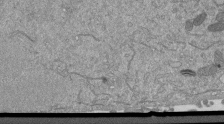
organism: Mouse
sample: ED-1 cell nuclei; centrioles